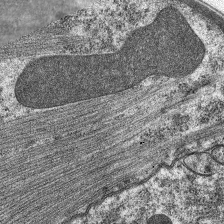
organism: C. elegans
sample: Pharynx